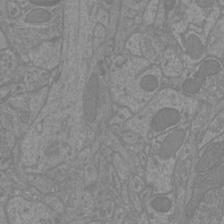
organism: Mouse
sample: Cortical neurons